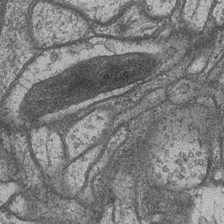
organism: Drosophila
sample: Optic medulla